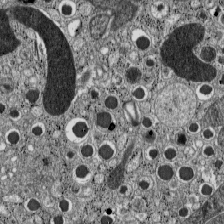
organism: C57BL Mouse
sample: Pancreatic islet